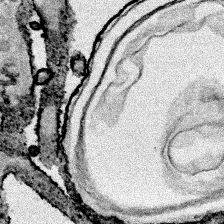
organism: Human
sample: Mitochondria in HCT116 cells